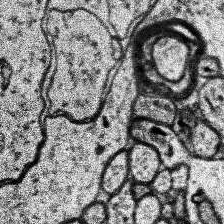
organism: Human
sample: Temporal Lobe